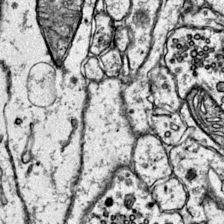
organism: Mouse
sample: Primary visual cortex